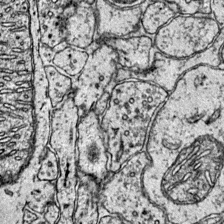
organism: Mouse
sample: Primary visual cortex